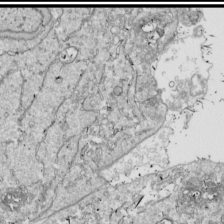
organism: Drosophila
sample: Cell division; meiosis; drosophila spermatocytes